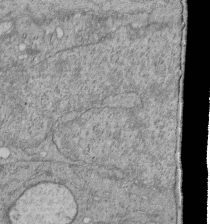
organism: Human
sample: Retinal organoid Rod and Cone cells